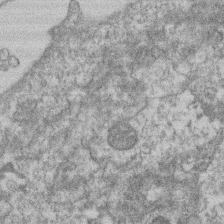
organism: Mouse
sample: T cell stromal cell synapse